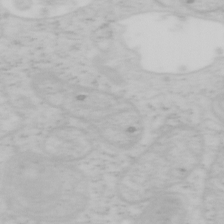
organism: Mouse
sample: OT-I killer T cells with ID8 ovarian cancer cells